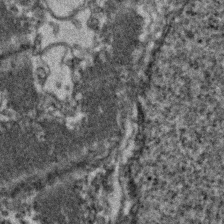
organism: Zebrafish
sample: Zebrafish embryo